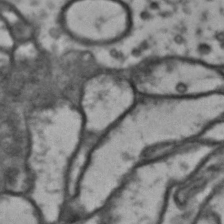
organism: Drosophila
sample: Brain